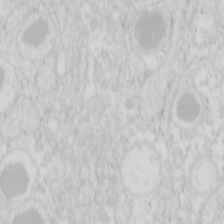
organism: Mouse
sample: Pancreas